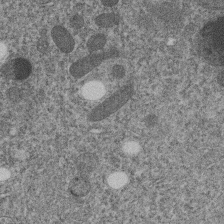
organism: C. elegans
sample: C. elegans embryo early stage